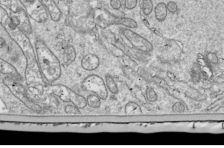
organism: Drosophila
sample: Cell division; meiosis; drosophila spermatocytes